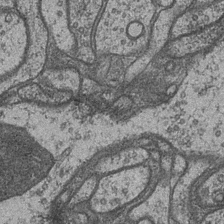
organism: Drosophila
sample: Optic medulla